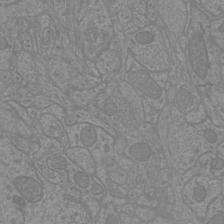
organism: Mouse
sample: Cortical neurons